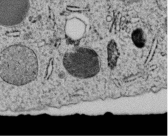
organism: C. elegans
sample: C. elegans embryo early stage